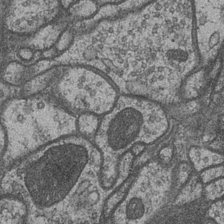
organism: Drosophila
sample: Optic medulla